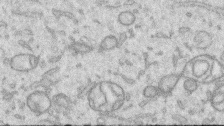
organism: Human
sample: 1205lu cells